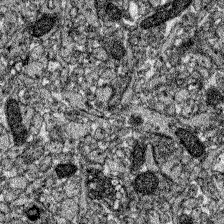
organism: Zebrafish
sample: Larval olfactory bulb